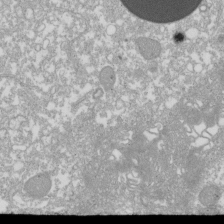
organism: Xenopus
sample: Cilia; centrioles in frog embryo cells